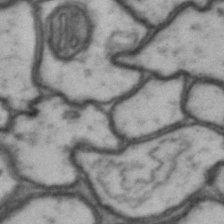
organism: Drosophila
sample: Brain